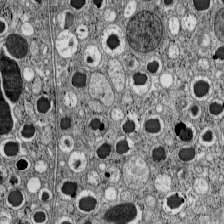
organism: C57BL Mouse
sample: Pancreatic islet